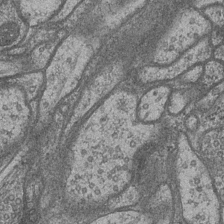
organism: Drosophila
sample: Optic medulla